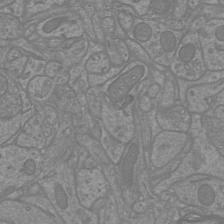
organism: Mouse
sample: Cortical neurons